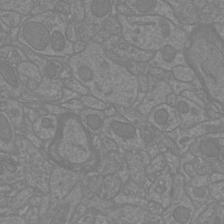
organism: Mouse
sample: Cortical neurons